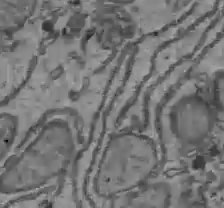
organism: C57BL Mouse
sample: Liver